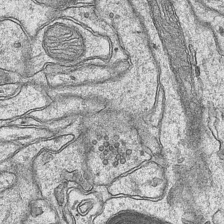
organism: Mouse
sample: CA1 Hippocampus